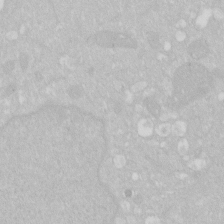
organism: Human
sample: HIV infected U937 cells